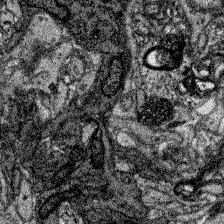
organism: Zebrafish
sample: Larval olfactory bulb